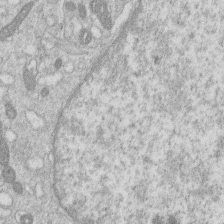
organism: Human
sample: Macrophage cells